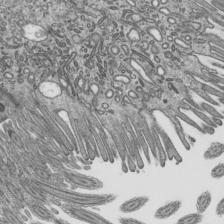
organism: Mouse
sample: Mouse epididymis efferent ductule cilia